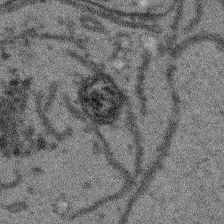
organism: Arabidopsis thaliana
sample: Root tip